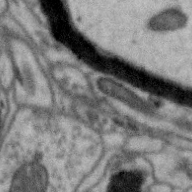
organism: Zebra finch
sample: Brain